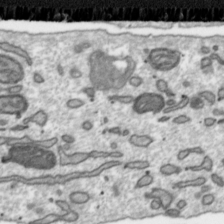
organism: Toxoplasma gondii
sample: Parasites in a vacuole inside a host cell